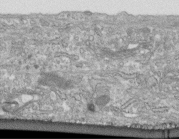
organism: Human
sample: Centriole in fibroblast cells